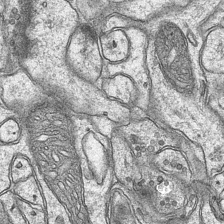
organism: Mouse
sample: CA1 Hippocampus